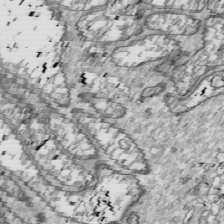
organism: Drosophila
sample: Cell division; meiosis; drosophila spermatocytes